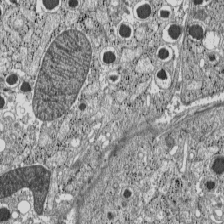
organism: C57BL Mouse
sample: Pancreatic islet